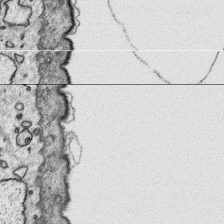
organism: Platynereis dumerilii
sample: Parapodia